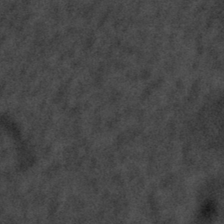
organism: Tuwongella immobilis